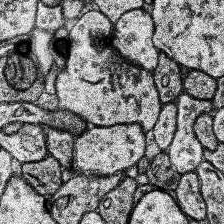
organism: Human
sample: Temporal Lobe